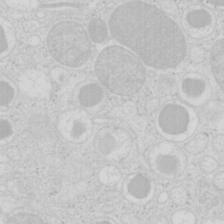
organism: Mouse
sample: Pancreas